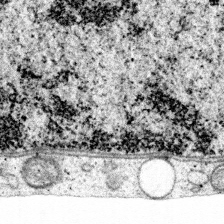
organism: Human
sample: HeLa cells